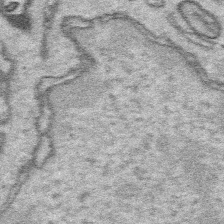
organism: Platynereis dumerilii